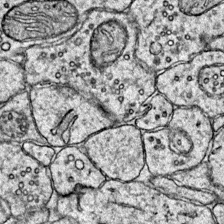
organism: Mouse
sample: Primary visual cortex